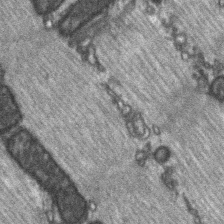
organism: C57BL Mouse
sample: Soleus